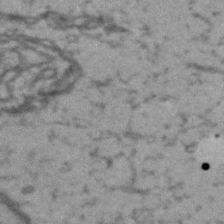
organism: Drosophila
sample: Brain